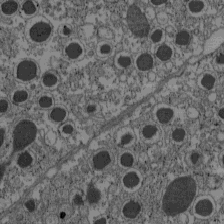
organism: C57BL Mouse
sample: Pancreatic islet